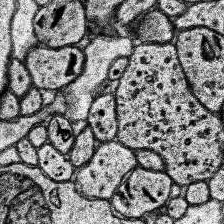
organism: Human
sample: Temporal Lobe